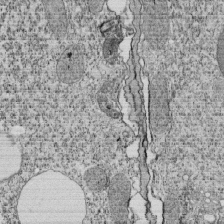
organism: Tetrahymena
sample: Cilia in tetrahymena